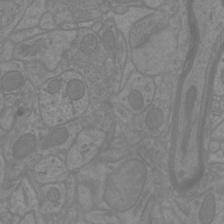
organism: Mouse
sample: Cortical neurons